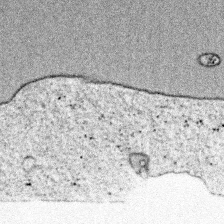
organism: Human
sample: HeLa cells